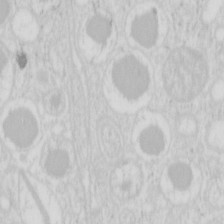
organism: Mouse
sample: Pancreas